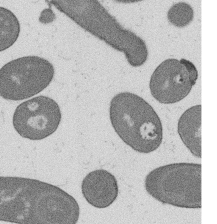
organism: B. subtilis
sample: Bacterial spore